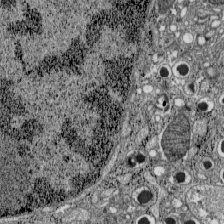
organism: C57BL Mouse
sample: Pancreatic islet